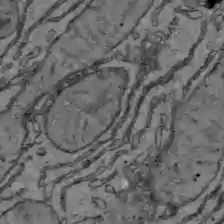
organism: C57BL Mouse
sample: Liver